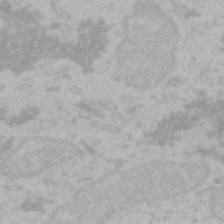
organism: Mouse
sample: Choroid plexus